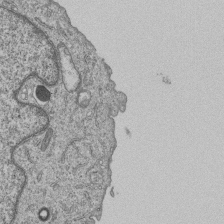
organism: Human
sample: MDA-MB-231 cells